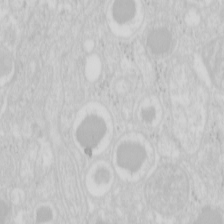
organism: Mouse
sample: Pancreas